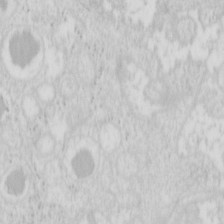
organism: Mouse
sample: Pancreas